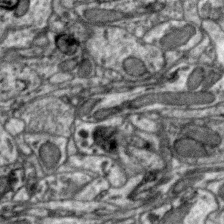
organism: Zebra finch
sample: Brain